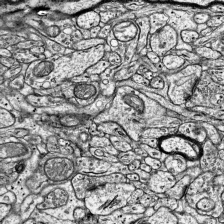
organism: Mouse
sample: Visual Cortex